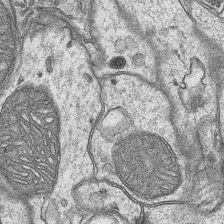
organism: Mouse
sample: CA1 Hippocampus